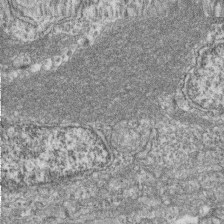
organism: Zebrafish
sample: Cilia; retinal pigment epithelium